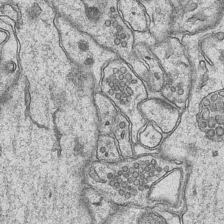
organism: Mouse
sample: CA1 Hippocampus